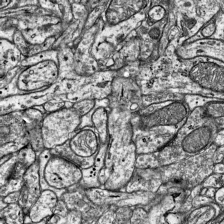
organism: Mouse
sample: Visual Cortex